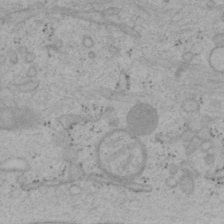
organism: Human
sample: HeLa cells